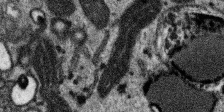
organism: Human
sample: Lung epithelial cells infected with SARS-CoV-2